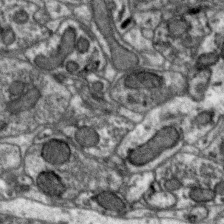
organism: Zebra finch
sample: Brain